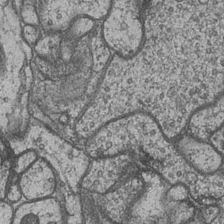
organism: Drosophila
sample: Optic medulla